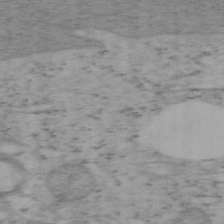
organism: Mouse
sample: OT-I killer T cells with ID8 ovarian cancer cells